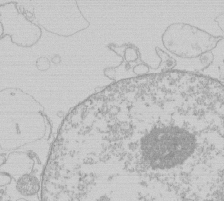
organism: Human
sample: Macrophage cells